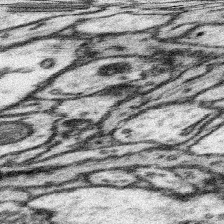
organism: Mouse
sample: Somatosensory cortex neuropil